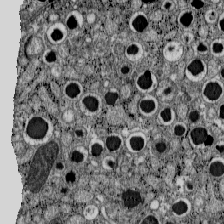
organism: C57BL Mouse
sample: Pancreatic islet